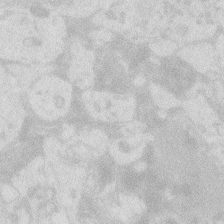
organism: Zebrafish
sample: Macrophage